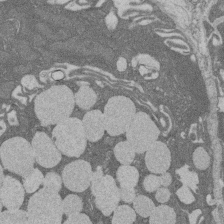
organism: Rat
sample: Salivary granule